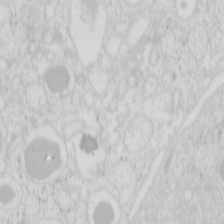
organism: Mouse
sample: Pancreas